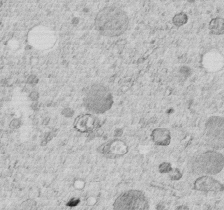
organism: C. elegans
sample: C. elegans embryo early stage